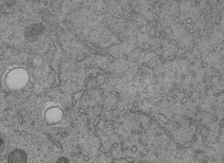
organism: C. elegans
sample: C. elegans embryo early stage